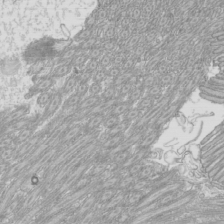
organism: Mouse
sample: Cilia; mouse epididymis